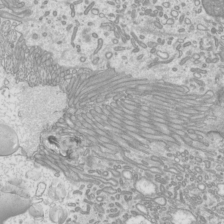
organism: Mouse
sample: Cilia; mouse epididymis